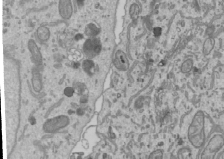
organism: Human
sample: Mitochondria in U2OS cells